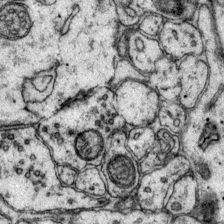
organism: Mouse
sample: Primary visual cortex